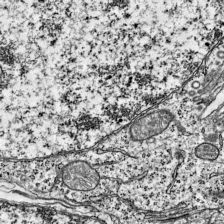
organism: Mouse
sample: Visual Cortex